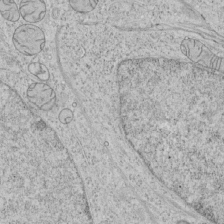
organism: Human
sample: Mitochondria in HCT116 cells